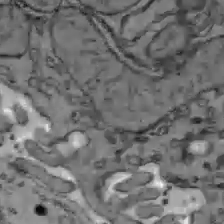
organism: C57BL Mouse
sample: Liver